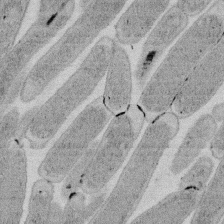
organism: E. coli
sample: Bacterial nucleoid